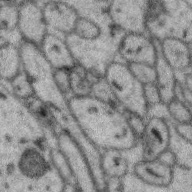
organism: Zebra finch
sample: Brain